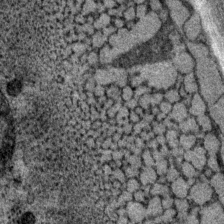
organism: P. pacificus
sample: Pharynx